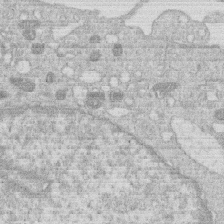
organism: Human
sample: Macrophage cells